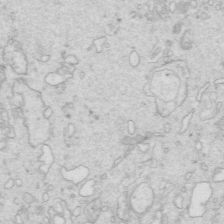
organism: Mouse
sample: Multiciliated cells